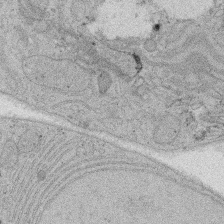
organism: Rat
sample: Salivary granule